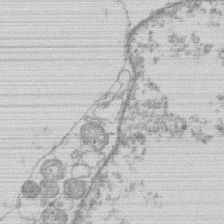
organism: Human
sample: Macrophage cells